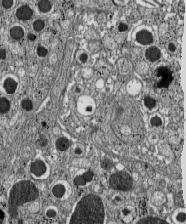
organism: C57BL Mouse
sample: Pancreatic islet